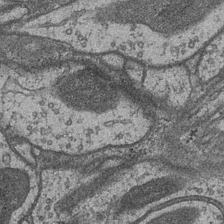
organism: Drosophila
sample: Optic medulla